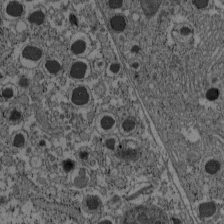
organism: C57BL Mouse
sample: Pancreatic islet